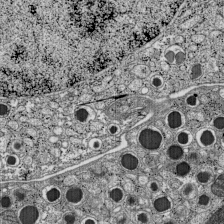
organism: C57BL Mouse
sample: Pancreatic islet